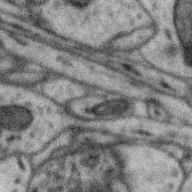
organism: Zebra finch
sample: Brain